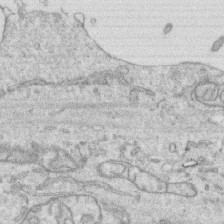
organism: Human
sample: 1205lu cells